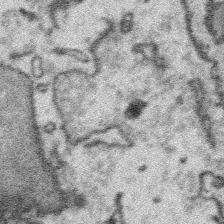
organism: Platynereis dumerilii